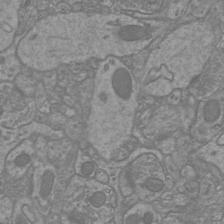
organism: Mouse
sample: Cortical neurons